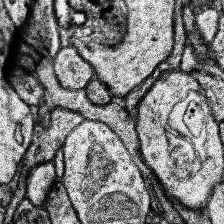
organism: Human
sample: Temporal Lobe